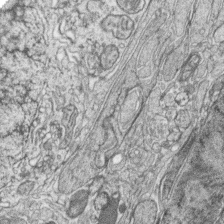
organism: Zebrafish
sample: synaptic ribbons in rod cells and cone cells